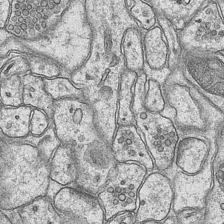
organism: Mouse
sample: CA1 Hippocampus